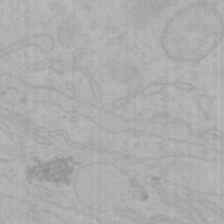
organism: Mouse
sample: Choroid plexus